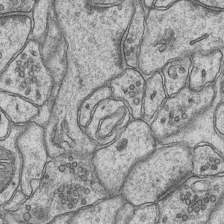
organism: Mouse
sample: CA1 Hippocampus